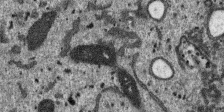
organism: Human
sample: Lung epithelial cells infected with SARS-CoV-2